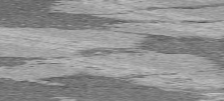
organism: C57BL Mouse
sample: Heart